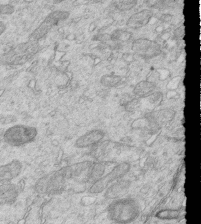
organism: Mouse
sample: Multiciliated cells